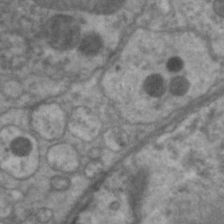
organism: C. elegans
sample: Pharynx